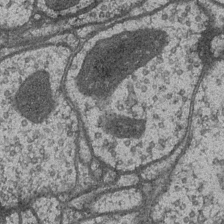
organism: Drosophila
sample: Optic medulla